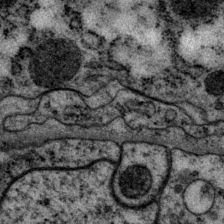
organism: P. pacificus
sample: Pharynx